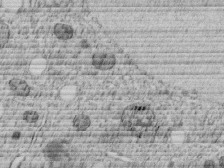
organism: C. elegans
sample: C. elegans embryo early stage